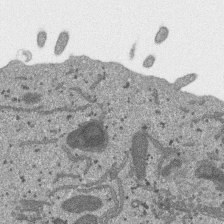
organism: Human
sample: Lung epithelial cells infected with SARS-CoV-2